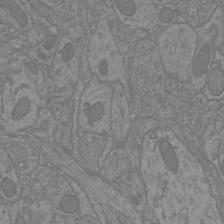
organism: Mouse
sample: Cortical neurons